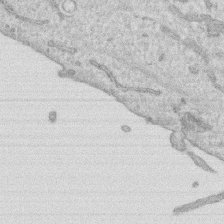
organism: Human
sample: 1205lu cells